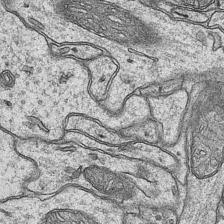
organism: Mouse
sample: CA1 Hippocampus